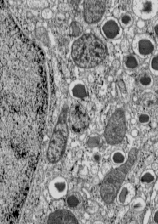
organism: C57BL Mouse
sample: Pancreatic islet